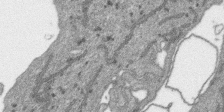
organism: Human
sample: Lung epithelial cells infected with SARS-CoV-2